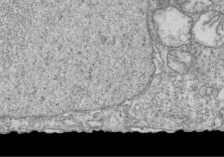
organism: Human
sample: HeLa cell HIV synapse